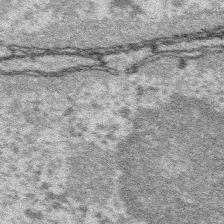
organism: Platynereis dumerilii